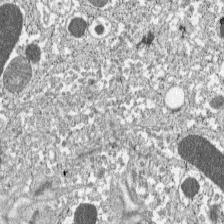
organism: C57BL Mouse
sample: Pancreatic islet